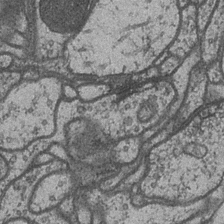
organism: Drosophila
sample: Optic medulla